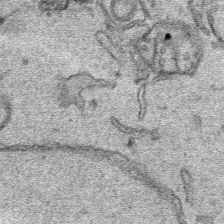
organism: Human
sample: Mitochondria in HCT116 cells